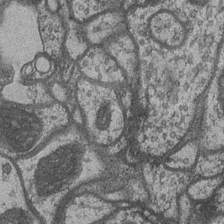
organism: Drosophila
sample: Optic medulla